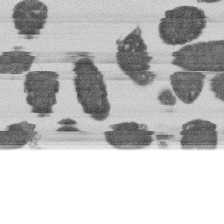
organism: E. coli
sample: Bacterial nucleoid